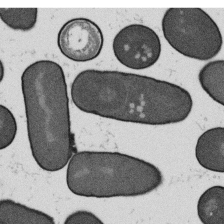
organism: B. subtilis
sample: Bacterial spore